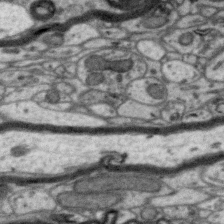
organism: Zebra finch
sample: Brain